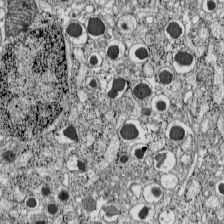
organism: C57BL Mouse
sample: Pancreatic islet